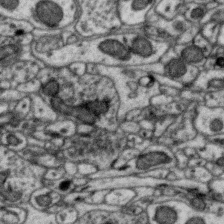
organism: Zebra finch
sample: Brain